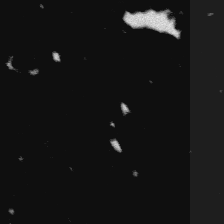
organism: Platynereis dumerilii